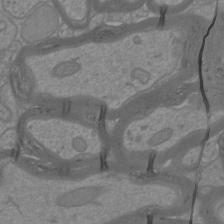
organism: Mouse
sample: Cortical neurons